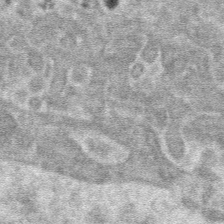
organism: Mouse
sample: Mouse hepatocytes